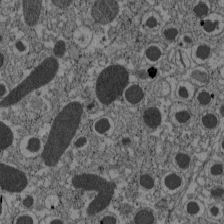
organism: C57BL Mouse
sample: Pancreatic islet